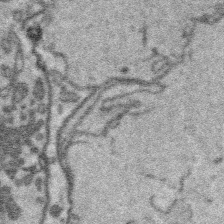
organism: Platynereis dumerilii